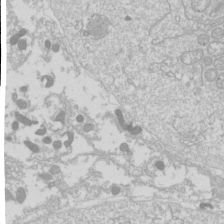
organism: Drosophila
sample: Cell division; meiosis; drosophila spermatocytes